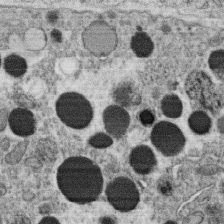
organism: C. elegans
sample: C. elegans oocyte; sperm cells